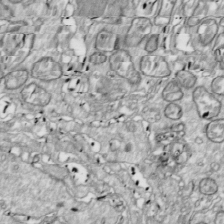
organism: Drosophila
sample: Cell division; meiosis; drosophila spermatocytes